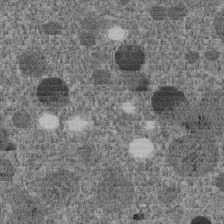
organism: C. elegans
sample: C. elegans embryo early stage